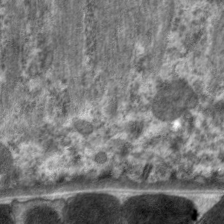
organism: C. elegans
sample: Pharynx